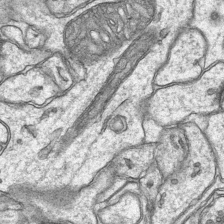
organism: Mouse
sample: CA1 Hippocampus